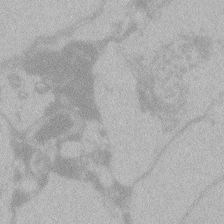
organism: Zebrafish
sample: Macrophage infected with Toxoplasma gondii